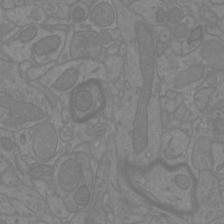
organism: Mouse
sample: Cortical neurons